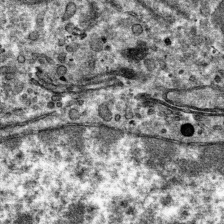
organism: Mouse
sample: Mouse hepatocytes